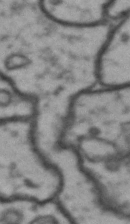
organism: Drosophila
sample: Brain